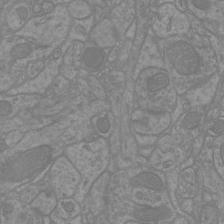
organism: Mouse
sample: Cortical neurons